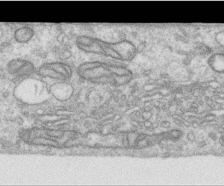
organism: Human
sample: Centriole in RPE cells